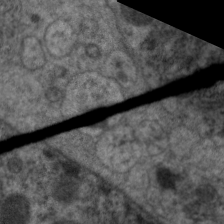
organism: C. elegans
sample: Pharynx